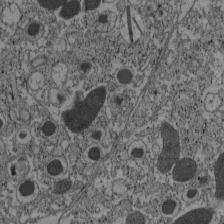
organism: C57BL Mouse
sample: Pancreatic islet